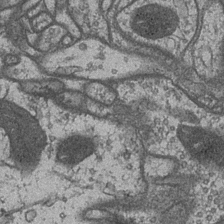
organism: Drosophila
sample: Optic medulla